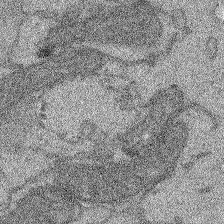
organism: Human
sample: HeLa cells